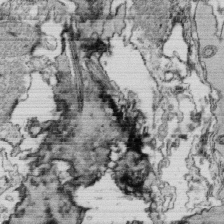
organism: Tetrahymena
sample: Cilia in tetrahymena